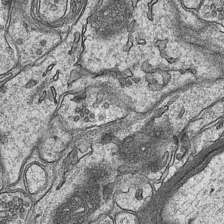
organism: Mouse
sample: CA1 Hippocampus